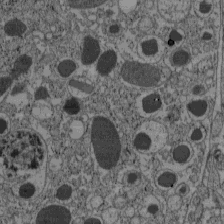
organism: C57BL Mouse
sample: Pancreatic islet